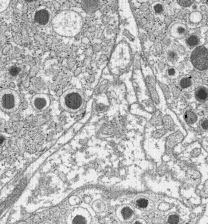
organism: C57BL Mouse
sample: Pancreatic islet